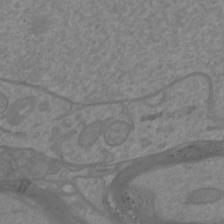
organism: Mouse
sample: Cortical neurons